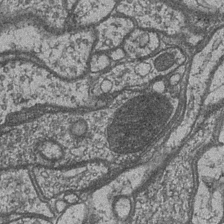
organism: Drosophila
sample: Optic medulla